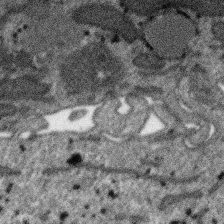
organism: Human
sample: Lung epithelial cells infected with SARS-CoV-2